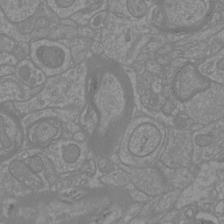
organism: Mouse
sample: Cortical neurons